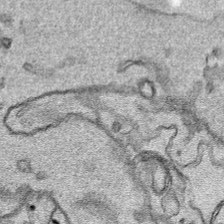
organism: Human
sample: Mitochondria in HCT116 cells